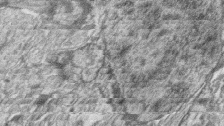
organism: Zebrafish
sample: synaptic ribbons in rod cells and cone cells